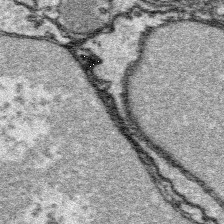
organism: Platynereis dumerilii